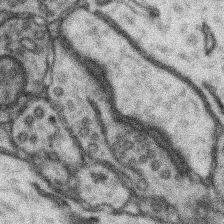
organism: Mouse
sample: Somatosensory cortex neuropil